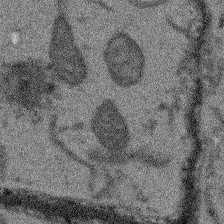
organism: Arabidopsis thaliana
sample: Root tip